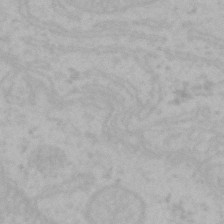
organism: Mouse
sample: Choroid plexus